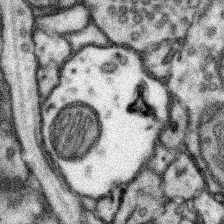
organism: Mouse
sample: Somatosensory cortex neuropil